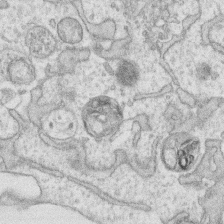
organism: Human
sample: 1205lu cells